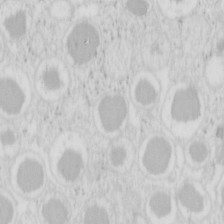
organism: Mouse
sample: Pancreas